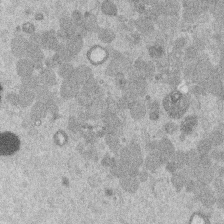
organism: Mouse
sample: Dividing mouse embryo 1 cell stage